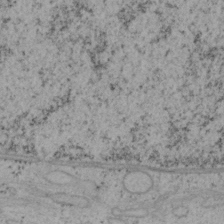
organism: Human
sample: HeLa cells